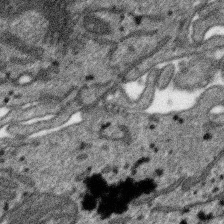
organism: Human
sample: Lung epithelial cells infected with SARS-CoV-2